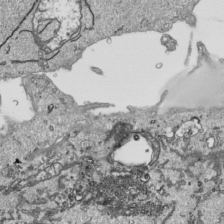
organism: Human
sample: Mitochondria in HCT116 cells